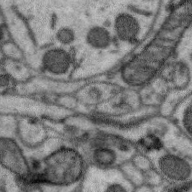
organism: Zebra finch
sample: Brain